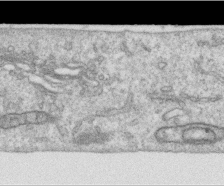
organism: Human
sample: Centriole in RPE cells